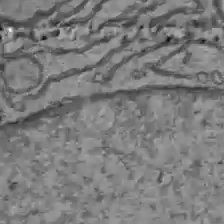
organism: C57BL Mouse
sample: Liver